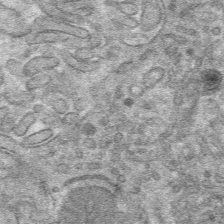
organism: Mouse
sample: Mouse hepatocytes